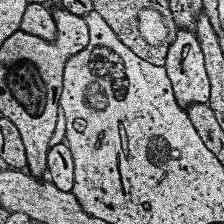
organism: Human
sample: Temporal Lobe